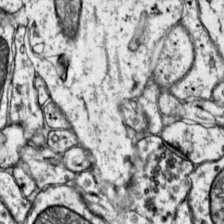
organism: Mouse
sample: Primary visual cortex